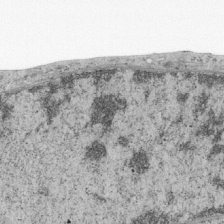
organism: Human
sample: HeLa cells